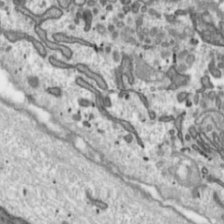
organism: Toxoplasma gondii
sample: Parasites in a vacuole inside a host cell